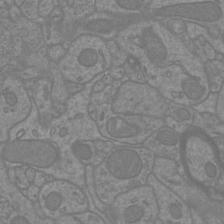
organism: Mouse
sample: Cortical neurons